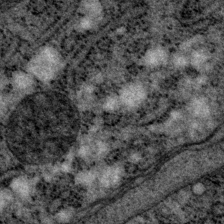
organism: P. pacificus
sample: Pharynx